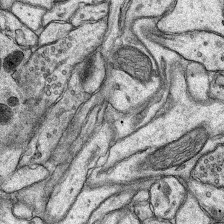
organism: Rat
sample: Hippocampus